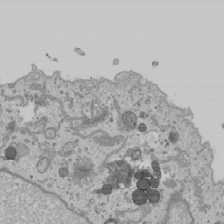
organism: Human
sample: Mitochondria in U2OS cells